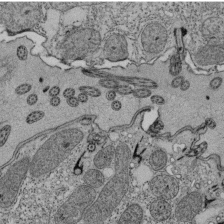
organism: Tetrahymena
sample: Cilia in tetrahymena